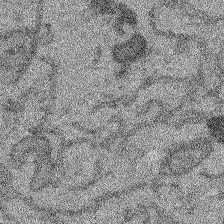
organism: Human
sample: HeLa cells